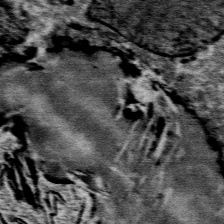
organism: Mouse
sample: Mouse Salivary gland